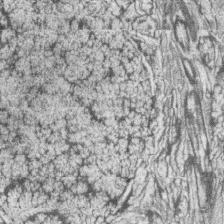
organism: Zebrafish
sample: synaptic ribbons in rod cells and cone cells